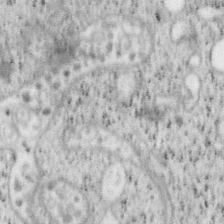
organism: Mouse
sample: OT-I killer T cells with ID8 ovarian cancer cells